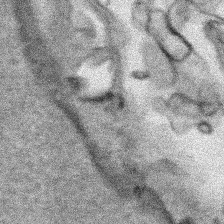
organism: Human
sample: Mitochondria in HCT116 cells